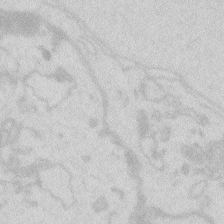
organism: Zebrafish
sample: Macrophage